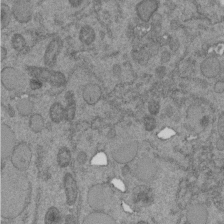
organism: C. elegans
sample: C. elegans embryo early stage